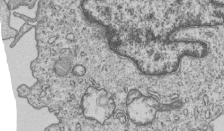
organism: Human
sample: MDA-MB-231 cells